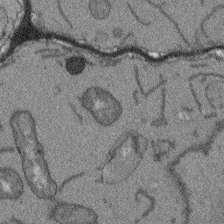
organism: Arabidopsis thaliana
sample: Root tip